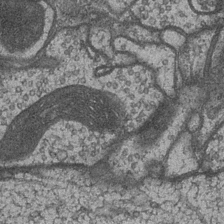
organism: Drosophila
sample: Optic medulla